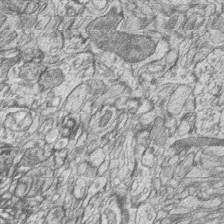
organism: Zebrafish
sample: synaptic ribbons in rod cells and cone cells